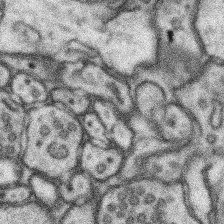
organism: Mouse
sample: Somatosensory cortex neuropil